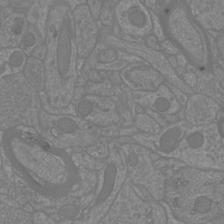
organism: Mouse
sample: Cortical neurons